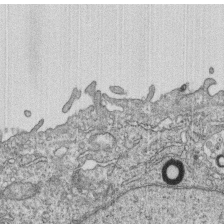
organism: Human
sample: HeLa cell HIV synapse